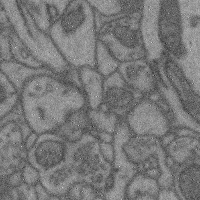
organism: Mouse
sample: Cerebral cortex